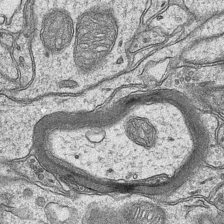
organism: Mouse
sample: CA1 Hippocampus